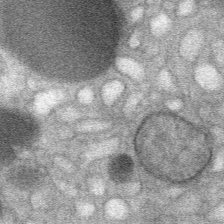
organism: Mouse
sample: Mouse Salivary gland